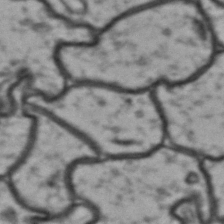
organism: Drosophila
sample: Brain